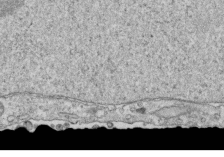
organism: Human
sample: HeLa cell HIV synapse